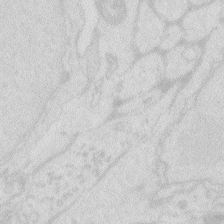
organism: Zebrafish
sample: Macrophage